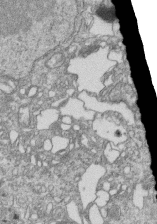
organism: Human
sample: HeLa cell HIV synapse